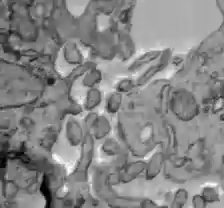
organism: C57BL Mouse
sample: Liver